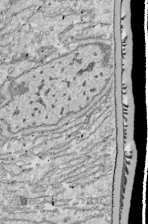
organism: Drosophila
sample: Cell division; meiosis; drosophila spermatocytes